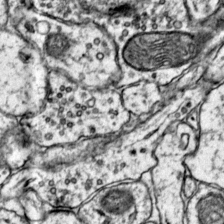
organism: Mouse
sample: Primary visual cortex